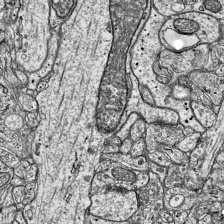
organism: Mouse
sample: Visual Cortex